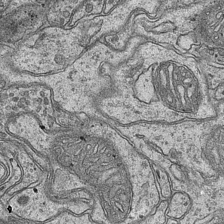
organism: Mouse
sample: CA1 Hippocampus